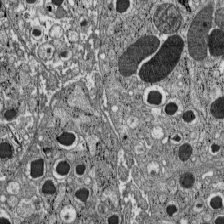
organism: C57BL Mouse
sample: Pancreatic islet